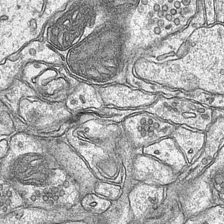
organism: Mouse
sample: CA1 Hippocampus